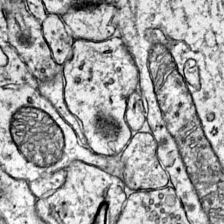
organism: Mouse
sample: Primary visual cortex